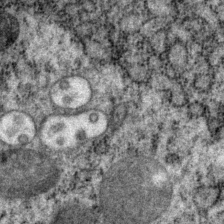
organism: P. pacificus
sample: Pharynx